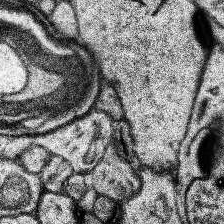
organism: Human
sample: Temporal Lobe